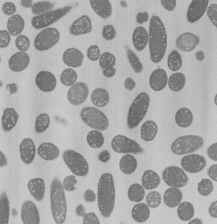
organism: E. coli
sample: Bacterial nucleoid